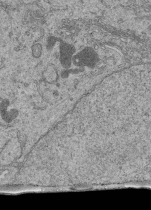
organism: Human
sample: Retinal organoid Rod and Cone cells